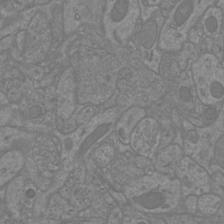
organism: Mouse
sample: Cortical neurons